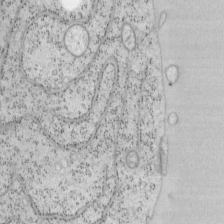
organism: Mouse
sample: OT-I killer T cells with ID8 ovarian cancer cells